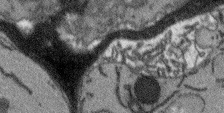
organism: Arabidopsis thaliana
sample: Root tip